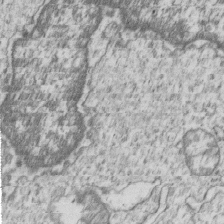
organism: Human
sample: MDA-MB-231 cells